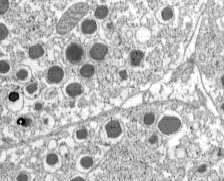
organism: C57BL Mouse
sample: Pancreatic islet